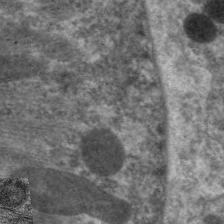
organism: C. elegans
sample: Pharynx